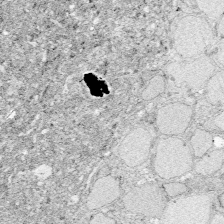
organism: Zebrafish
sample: Whole-Brain